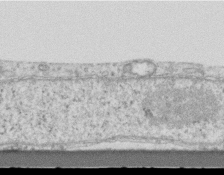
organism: Mouse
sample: Centriole in ependymal cells